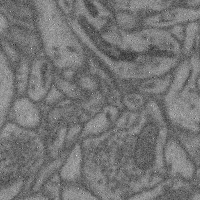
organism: Mouse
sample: Cerebral cortex